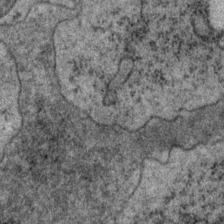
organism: P. pacificus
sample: Pharynx